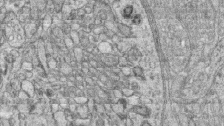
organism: Zebrafish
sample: synaptic ribbons in rod cells and cone cells